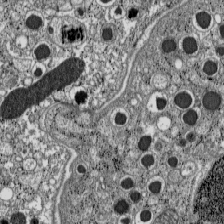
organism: C57BL Mouse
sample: Pancreatic islet